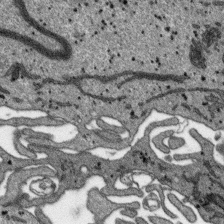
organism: Human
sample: Lung epithelial cells, uninfected (mock) control